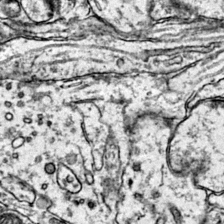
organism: Mouse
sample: Primary visual cortex